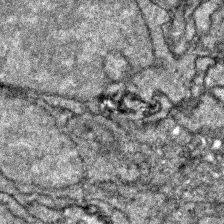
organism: Zebrafish